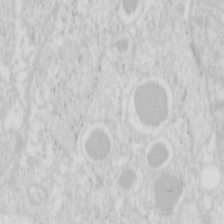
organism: Mouse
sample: Pancreas